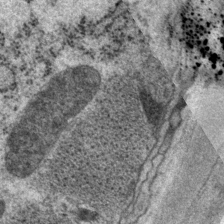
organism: P. pacificus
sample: Pharynx